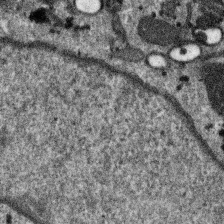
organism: Human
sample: Lung epithelial cells infected with SARS-CoV-2